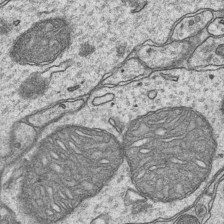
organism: Mouse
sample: CA1 Hippocampus